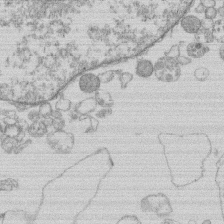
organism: Human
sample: Macrophage cells